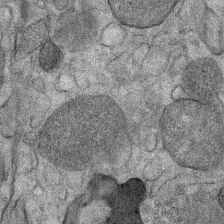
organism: Mouse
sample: Mouse Salivary gland